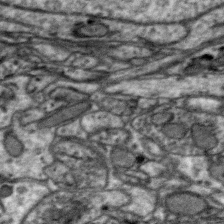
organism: Zebra finch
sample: Brain